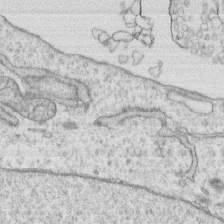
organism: Human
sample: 1205lu cells